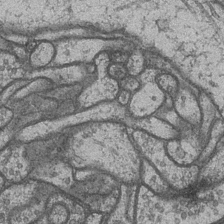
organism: Drosophila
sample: Optic medulla